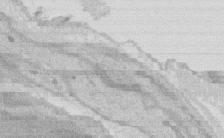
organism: Rat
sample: Salivary granule